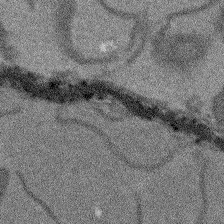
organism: Arabidopsis thaliana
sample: Root tip